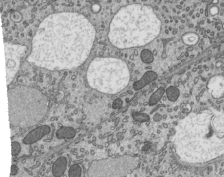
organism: Mouse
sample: Mouse epididymis efferent ductule cilia